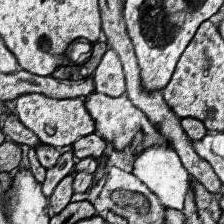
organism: Human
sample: Temporal Lobe